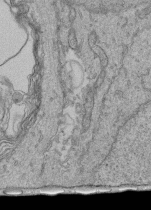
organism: Human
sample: Retinal organoid Rod and Cone cells